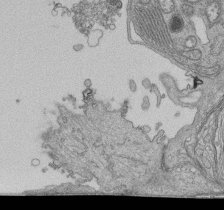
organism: Human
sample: Retinal organoid Rod and Cone cells